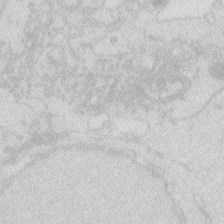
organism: Zebrafish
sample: Macrophage